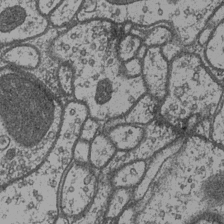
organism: Drosophila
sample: Optic medulla